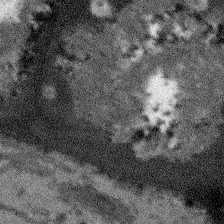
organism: Arabidopsis thaliana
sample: Root tip